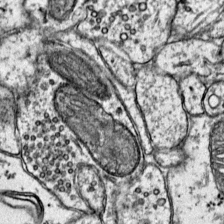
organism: Mouse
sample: Primary visual cortex